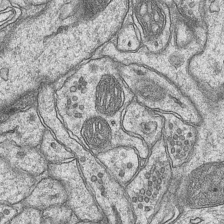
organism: Mouse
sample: CA1 Hippocampus